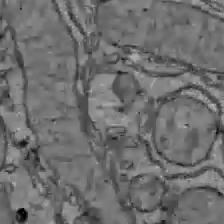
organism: C57BL Mouse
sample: Liver